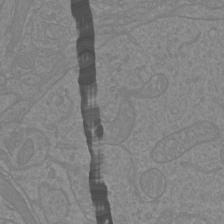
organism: Mouse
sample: Cortical neurons